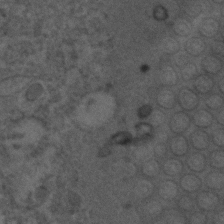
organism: C. elegans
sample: C. elegans embryo